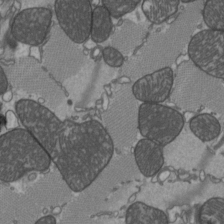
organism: C57BL Mouse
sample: Heart